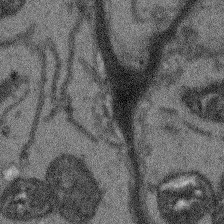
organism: Arabidopsis thaliana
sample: Root tip